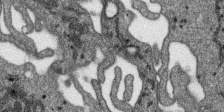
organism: Human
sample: Lung epithelial cells infected with SARS-CoV-2